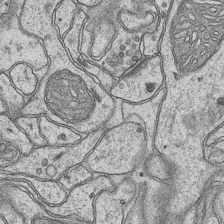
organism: Mouse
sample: CA1 Hippocampus